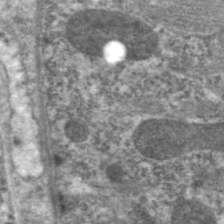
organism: C. elegans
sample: Pharynx